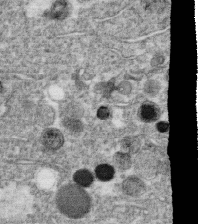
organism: C. elegans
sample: C. elegans oocyte; sperm cells